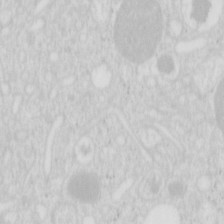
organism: Mouse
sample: Pancreas